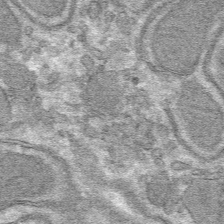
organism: Mouse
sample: Mouse hepatocytes